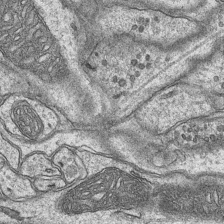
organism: Mouse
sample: CA1 Hippocampus